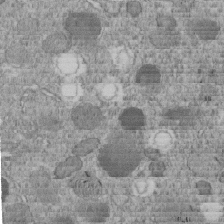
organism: C. elegans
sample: C. elegans embryo early stage